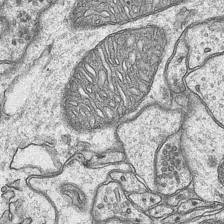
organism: Mouse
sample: CA1 Hippocampus